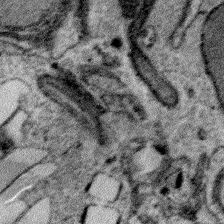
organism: Plasmodium falciparum